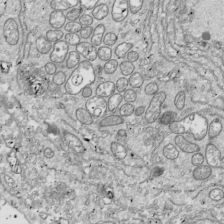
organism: Drosophila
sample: Cell division; meiosis; drosophila spermatocytes